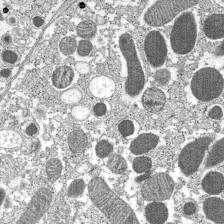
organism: C57BL Mouse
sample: Pancreatic islet